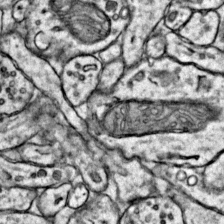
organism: Mouse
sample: Primary visual cortex